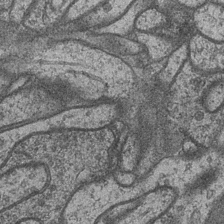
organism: Drosophila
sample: Optic medulla